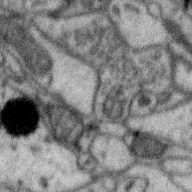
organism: Zebra finch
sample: Brain